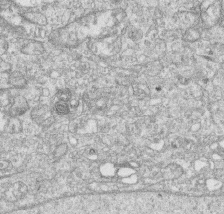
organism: Human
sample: HeLa cell HIV synapse